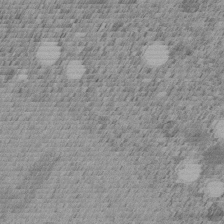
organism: C. elegans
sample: C. elegans embryo early stage